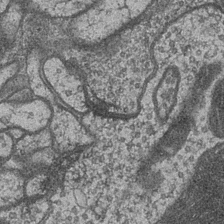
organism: Drosophila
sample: Optic medulla